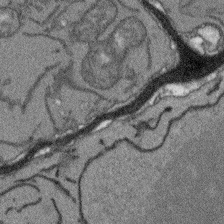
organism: Arabidopsis thaliana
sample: Root tip